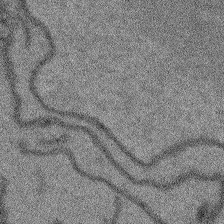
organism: Arabidopsis thaliana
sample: Root tip